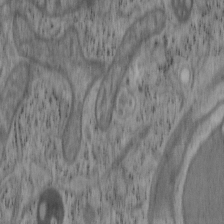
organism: Human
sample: HeLa cells